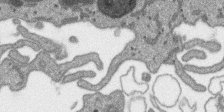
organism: Human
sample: Lung epithelial cells infected with SARS-CoV-2